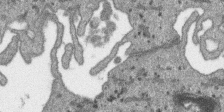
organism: Human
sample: Lung epithelial cells infected with SARS-CoV-2